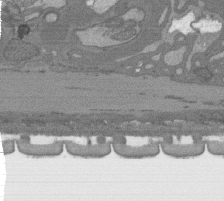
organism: C. elegans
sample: AFD neurons C. elegans